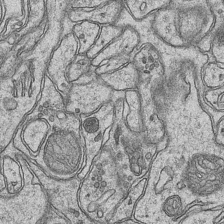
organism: Mouse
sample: CA1 Hippocampus